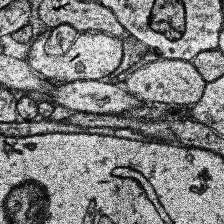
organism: Human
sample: Temporal Lobe